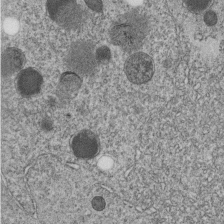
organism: C. elegans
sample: C. elegans embryo early stage